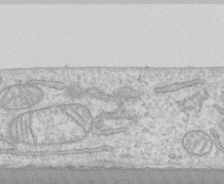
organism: Human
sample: CRL-1474